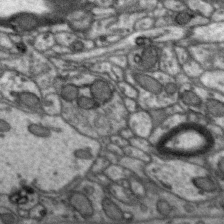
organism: Zebra finch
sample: Brain